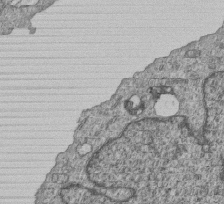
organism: Human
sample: MDA-MB-231 cells